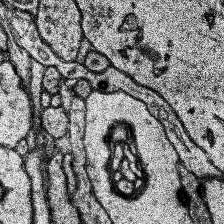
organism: Human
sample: Temporal Lobe